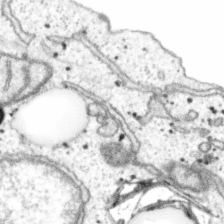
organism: Human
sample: HeLa cells